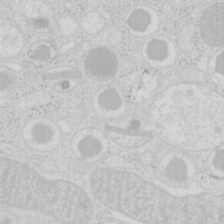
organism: Mouse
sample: Pancreas